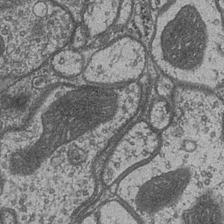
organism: Drosophila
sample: Optic medulla